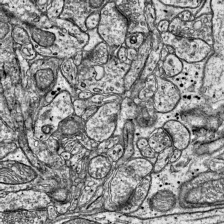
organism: Mouse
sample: Visual Cortex